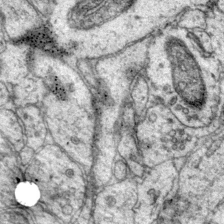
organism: Mouse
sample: Primary visual cortex